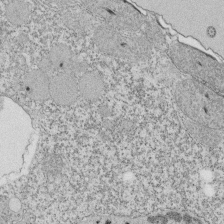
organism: Tetrahymena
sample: Cilia in tetrahymena